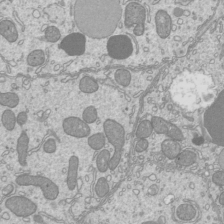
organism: Mouse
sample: Cilia; mouse epididymis